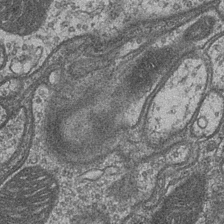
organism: Drosophila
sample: Optic medulla